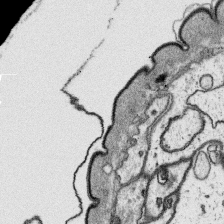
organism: Platynereis dumerilii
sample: Parapodia